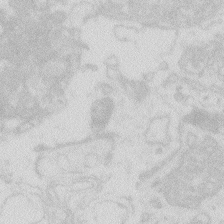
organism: Zebrafish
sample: Macrophage